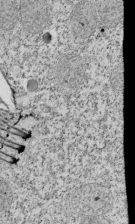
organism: Tetrahymena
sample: Cilia in tetrahymena